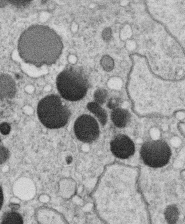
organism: C. elegans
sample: C. elegans oocyte; sperm cells